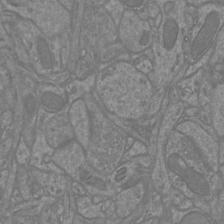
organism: Mouse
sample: Cortical neurons